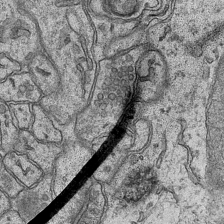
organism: Mouse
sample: CA1 Hippocampus